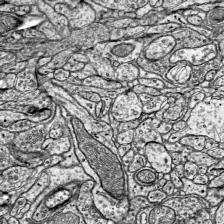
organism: Mouse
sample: Visual Cortex